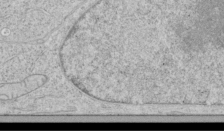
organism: Human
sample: Mitochondria in HCT116 cells